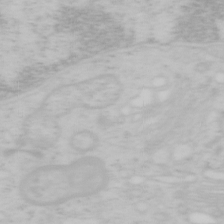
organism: Mouse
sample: OT-I killer T cells with ID8 ovarian cancer cells